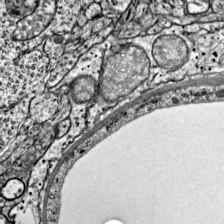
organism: Mouse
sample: Visual Cortex